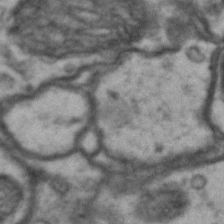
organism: Drosophila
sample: Brain